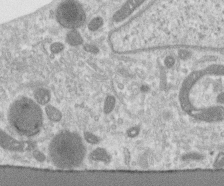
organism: Human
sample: Centriole in RPE cells